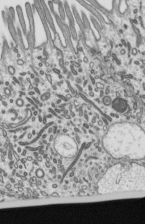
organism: Mouse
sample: Mouse epididymis efferent ductule cilia